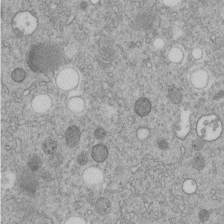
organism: C. elegans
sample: C. elegans embryo early stage